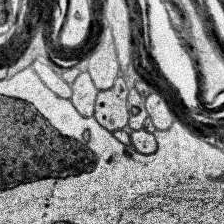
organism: Human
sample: Temporal Lobe